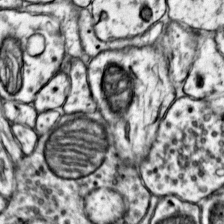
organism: Mouse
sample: Primary visual cortex